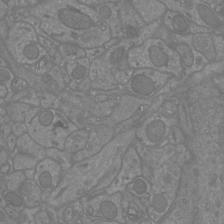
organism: Mouse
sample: Cortical neurons